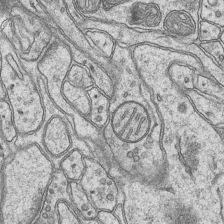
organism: Mouse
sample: CA1 Hippocampus